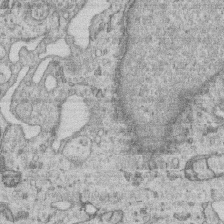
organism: Human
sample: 1205lu cells